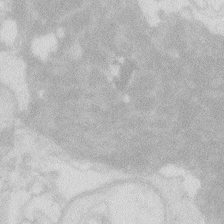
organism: Zebrafish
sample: Macrophage